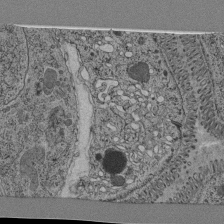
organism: C. elegans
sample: C. elegans pharynx